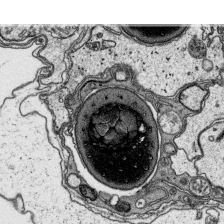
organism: Platynereis dumerilii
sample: Parapodia